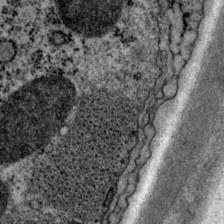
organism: P. pacificus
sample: Pharynx